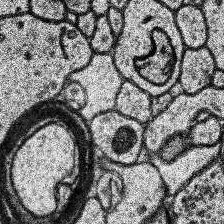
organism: Human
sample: Temporal Lobe